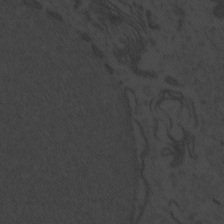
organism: Zebrafish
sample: Macrophage infected with Toxoplasma gondii